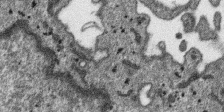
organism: Human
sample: Lung epithelial cells infected with SARS-CoV-2